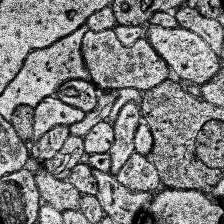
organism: Human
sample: Temporal Lobe